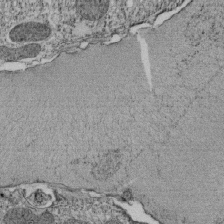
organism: Tetrahymena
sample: Cilia in tetrahymena